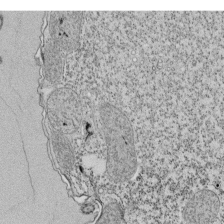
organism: Tetrahymena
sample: Cilia in tetrahymena